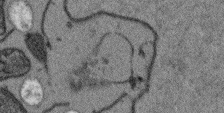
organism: Arabidopsis thaliana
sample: Root tip